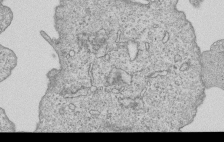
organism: Human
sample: MDA-MB-231 cells